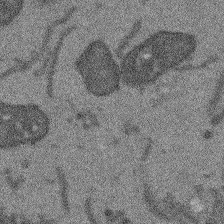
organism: Arabidopsis thaliana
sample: Root tip